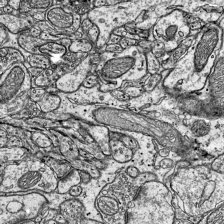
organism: Mouse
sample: Visual Cortex